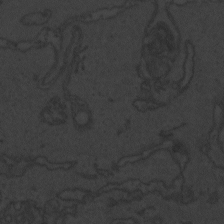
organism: Zebrafish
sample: Macrophage infected with Toxoplasma gondii